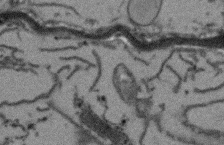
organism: Arabidopsis thaliana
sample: Root tip